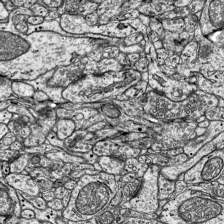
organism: Mouse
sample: Visual Cortex